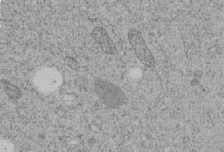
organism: C. elegans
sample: C. elegans embryo early stage